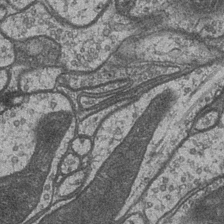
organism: Drosophila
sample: Optic medulla